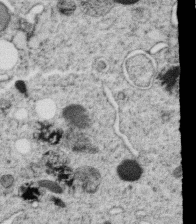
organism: C. elegans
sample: C. elegans oocyte; sperm cells